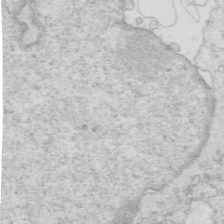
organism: Mouse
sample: Multiciliated cells